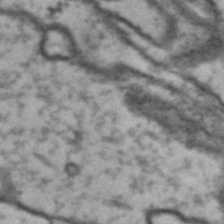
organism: Drosophila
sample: Brain